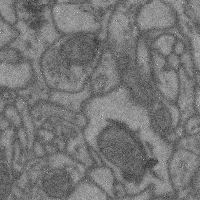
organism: Mouse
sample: Cerebral cortex